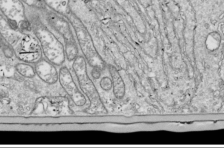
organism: Drosophila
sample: Cell division; meiosis; drosophila spermatocytes